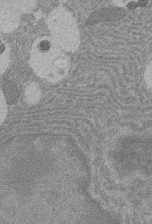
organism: Rat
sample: Salivary granule